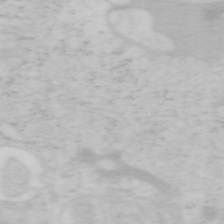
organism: Mouse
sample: OT-I killer T cells with ID8 ovarian cancer cells